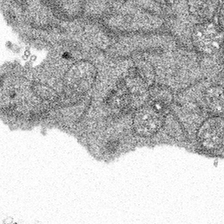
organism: Spongilla lacustris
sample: Multiple